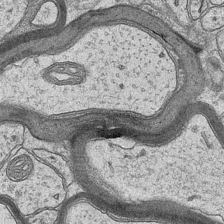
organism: Mouse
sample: CA1 Hippocampus